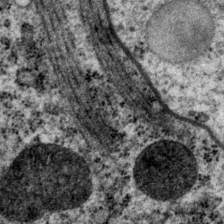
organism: P. pacificus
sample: Pharynx